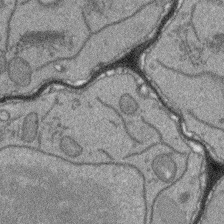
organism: Arabidopsis thaliana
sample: Root tip